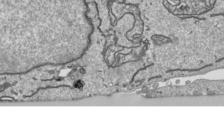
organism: Human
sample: Mitochondria in HCT116 cells